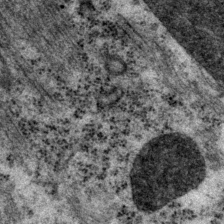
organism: P. pacificus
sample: Pharynx